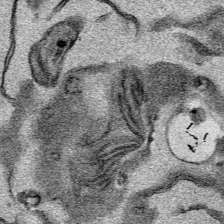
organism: Mouse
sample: Cancer cell death in ED-1 cells